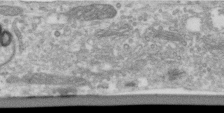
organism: Human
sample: Centriole in RPE cells